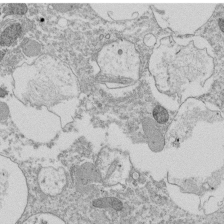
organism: Tetrahymena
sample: Cilia in tetrahymena